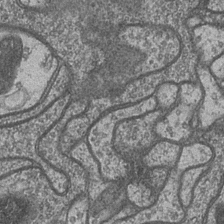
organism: Drosophila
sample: Optic medulla